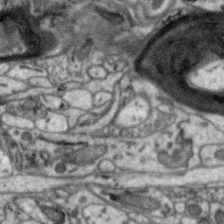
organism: Zebra finch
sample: Brain